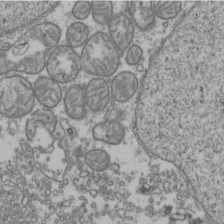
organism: Human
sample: Activated Jurkat CD4+ T cells